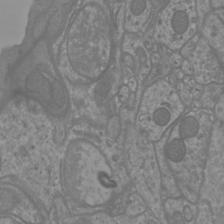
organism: Mouse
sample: Cortical neurons